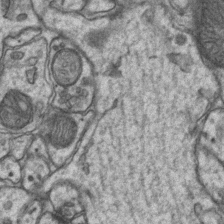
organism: Mouse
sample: CA1 Hippocampus